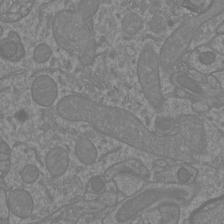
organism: Mouse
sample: Cortical neurons